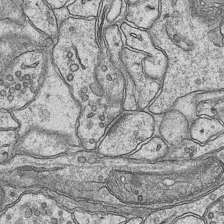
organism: Mouse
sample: CA1 Hippocampus